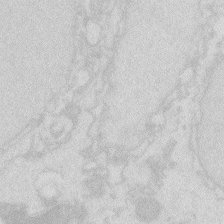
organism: Zebrafish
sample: Macrophage